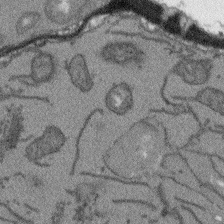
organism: Arabidopsis thaliana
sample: Root tip